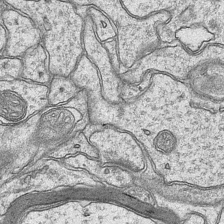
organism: Mouse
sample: CA1 Hippocampus